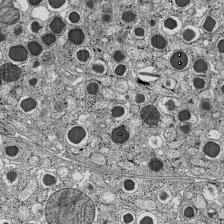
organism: C57BL Mouse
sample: Pancreatic islet